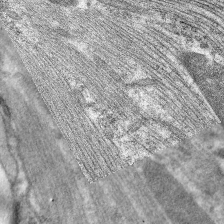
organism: C. elegans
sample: Pharynx